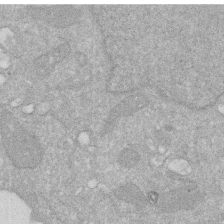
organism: Human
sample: HIV infected U937 cells